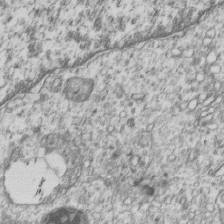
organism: Human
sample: MDA-MB-231 cells